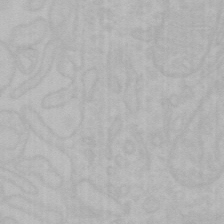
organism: Mouse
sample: Choroid plexus